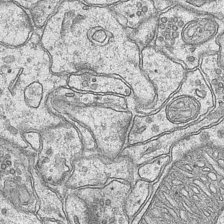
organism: Mouse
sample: CA1 Hippocampus